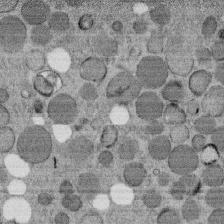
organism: C. elegans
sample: C. elegans embryo early stage